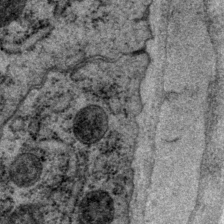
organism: P. pacificus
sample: Pharynx